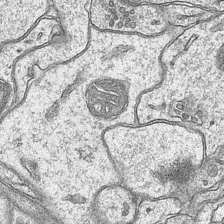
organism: Mouse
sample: CA1 Hippocampus